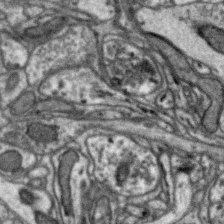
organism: Zebra finch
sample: Brain